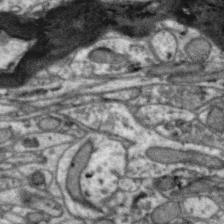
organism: Zebra finch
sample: Brain